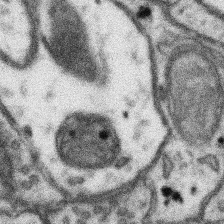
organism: Mouse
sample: Somatosensory cortex neuropil